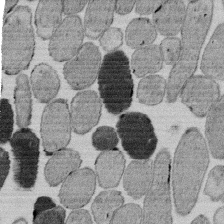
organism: E. coli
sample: Bacterial nucleoid